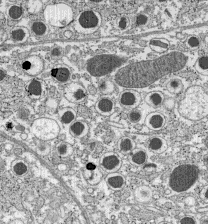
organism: C57BL Mouse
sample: Pancreatic islet